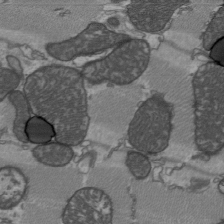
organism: C57BL Mouse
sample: Heart